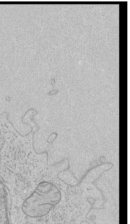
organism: Human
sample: Mitochondria in HCT116 cells